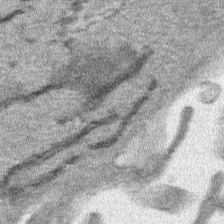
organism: Human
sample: Mitochondria in HCT116 cells